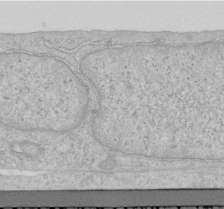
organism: Human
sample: Centriole in RPE cells